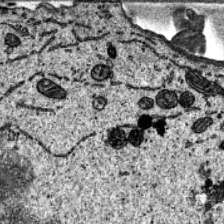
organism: Human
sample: HeLa cells